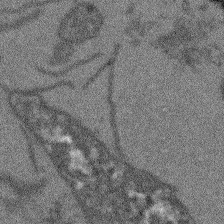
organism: Arabidopsis thaliana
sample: Root tip